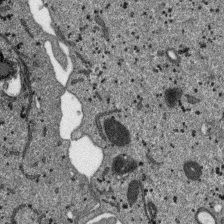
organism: Human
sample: Lung epithelial cells infected with SARS-CoV-2